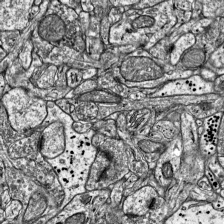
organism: Mouse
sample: Visual Cortex